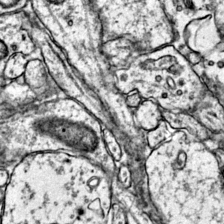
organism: Mouse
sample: Primary visual cortex